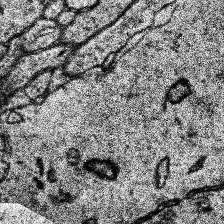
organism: Human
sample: Temporal Lobe